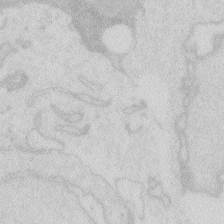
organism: Zebrafish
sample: Macrophage